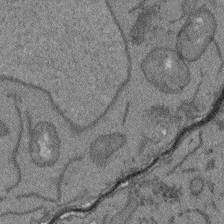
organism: Arabidopsis thaliana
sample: Root tip